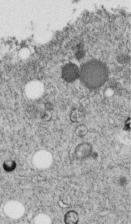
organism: C. elegans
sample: C. elegans embryo early stage